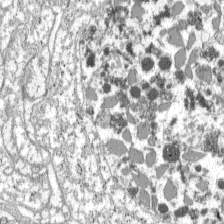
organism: C57BL Mouse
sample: Pancreatic islet